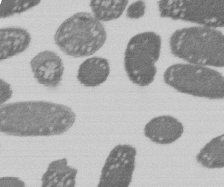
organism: E. coli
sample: Bacterial nucleoid